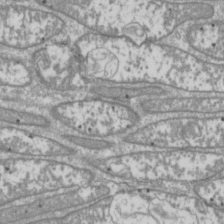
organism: Drosophila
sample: Cell division; meiosis; drosophila spermatocytes